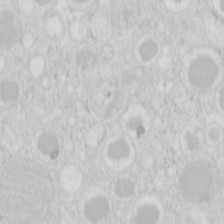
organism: Mouse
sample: Pancreas